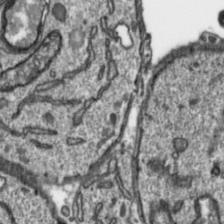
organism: Toxoplasma gondii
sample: Parasites in a vacuole inside a host cell